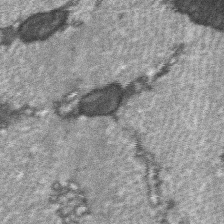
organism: C57BL Mouse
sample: Soleus